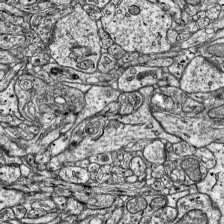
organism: Mouse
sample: Visual Cortex